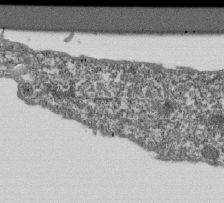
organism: Dictyostelium discoideum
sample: Dictyostelium multivesicular bodies